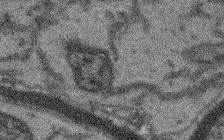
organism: Arabidopsis thaliana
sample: Root tip